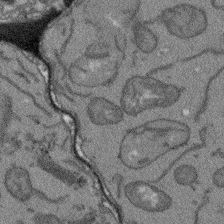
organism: Arabidopsis thaliana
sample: Root tip